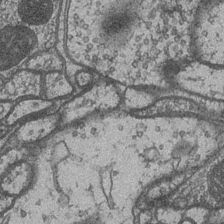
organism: Drosophila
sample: Optic medulla